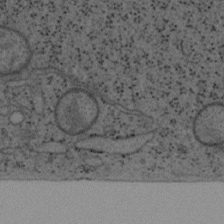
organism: Human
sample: HeLa cells